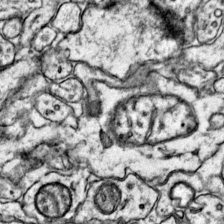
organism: Mouse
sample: Primary visual cortex